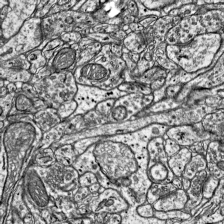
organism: Mouse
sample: Visual Cortex